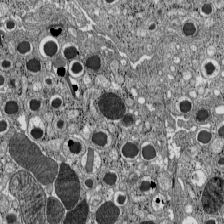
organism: C57BL Mouse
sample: Pancreatic islet